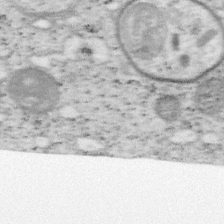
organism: Mouse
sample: OT-I killer T cells with ID8 ovarian cancer cells